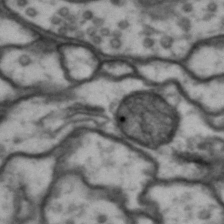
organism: Drosophila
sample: Brain